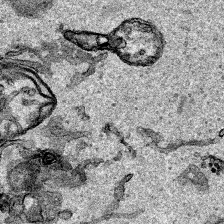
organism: Human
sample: Mitochondria in HCT116 cells